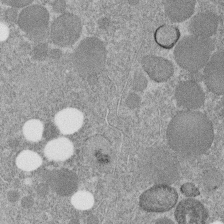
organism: C. elegans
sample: C. elegans embryo early stage